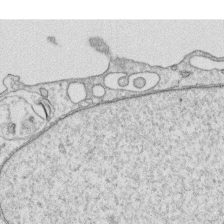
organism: Human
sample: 1205lu cells